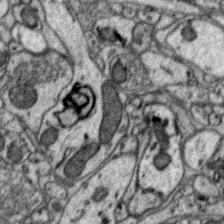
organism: Zebra finch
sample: Brain